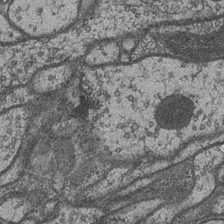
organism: Drosophila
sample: Optic medulla